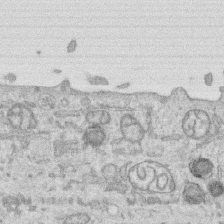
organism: Human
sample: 1205lu cells